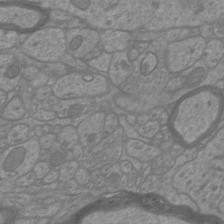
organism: Mouse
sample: Cortical neurons